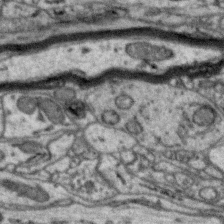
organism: Zebra finch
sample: Brain